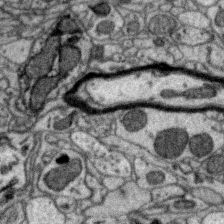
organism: Zebra finch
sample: Brain